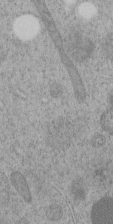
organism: C. elegans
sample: C. elegans embryo early stage